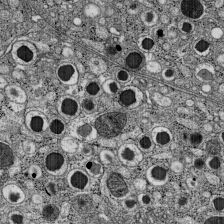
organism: C57BL Mouse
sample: Pancreatic islet